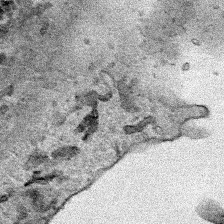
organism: Human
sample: Mitochondria in HCT116 cells